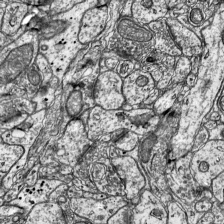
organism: Mouse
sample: Visual Cortex